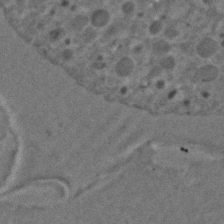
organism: C. elegans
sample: C. elegans embryo